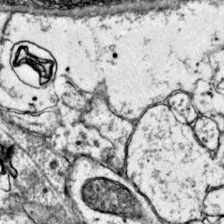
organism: Mouse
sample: Primary visual cortex